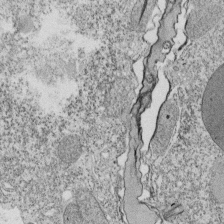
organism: Tetrahymena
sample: Cilia in tetrahymena